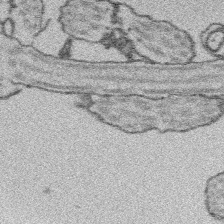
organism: Platynereis dumerilii